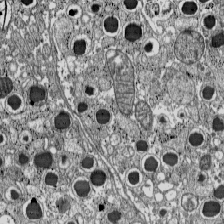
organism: C57BL Mouse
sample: Pancreatic islet